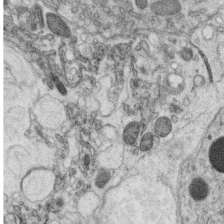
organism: C. elegans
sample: C. elegans oocyte; sperm cells